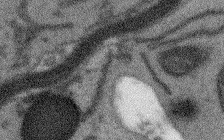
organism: Arabidopsis thaliana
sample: Root tip